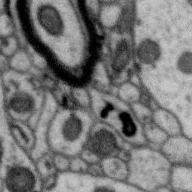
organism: Zebra finch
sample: Brain